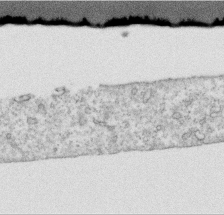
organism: Human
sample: Centriole in RPE cells